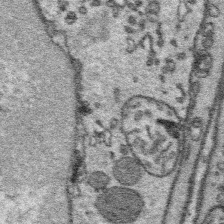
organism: Platynereis dumerilii